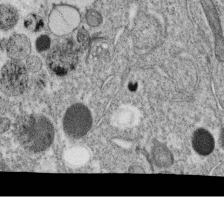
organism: C. elegans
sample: C. elegans oocyte; sperm cells